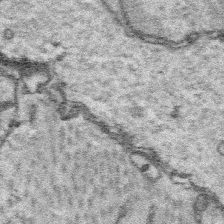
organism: Platynereis dumerilii